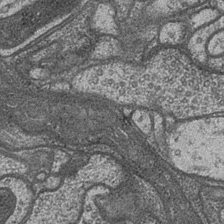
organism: Drosophila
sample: Optic medulla